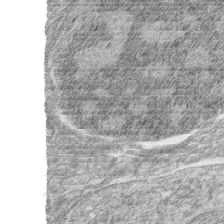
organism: Zebrafish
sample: synaptic ribbons in rod cells and cone cells